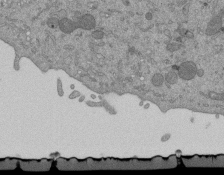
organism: Mouse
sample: ED-1 cell nuclei; centrioles